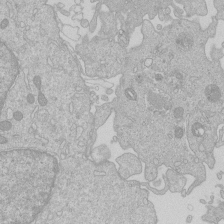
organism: Human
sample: Macrophage cells